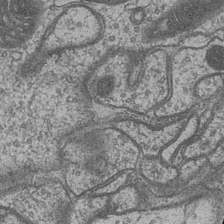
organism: Drosophila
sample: Optic medulla